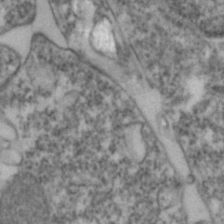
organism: Zebrafish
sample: Zebrafish embryo